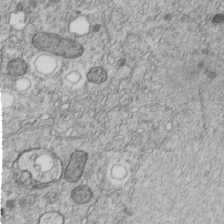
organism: C. elegans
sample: C. elegans embryo early stage